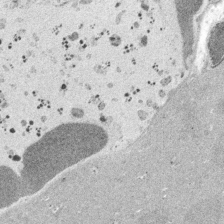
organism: Embia sp.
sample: Silk gland